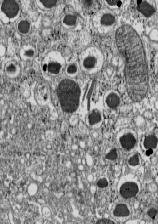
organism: C57BL Mouse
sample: Pancreatic islet